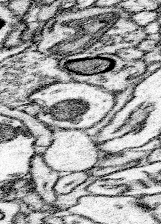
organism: Mouse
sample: Somatosensory cortex neuropil